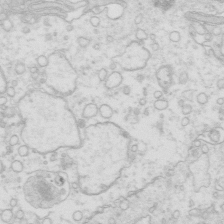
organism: Mouse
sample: Multiciliated cells